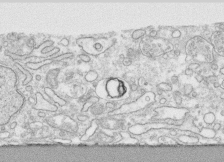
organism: Human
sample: CRL-1474